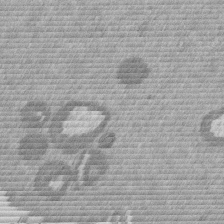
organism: Mouse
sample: Dividing mouse embryo 1 cell stage